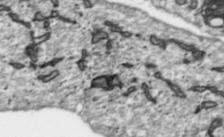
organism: Toxoplasma gondii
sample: Parasites in a vacuole inside a host cell